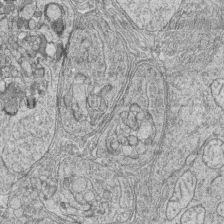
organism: Zebrafish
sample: synaptic ribbons in rod cells and cone cells